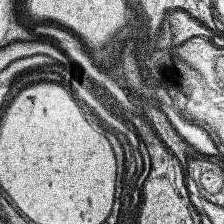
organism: Human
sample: Temporal Lobe